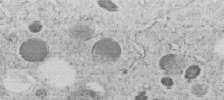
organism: C. elegans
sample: C. elegans embryo early stage